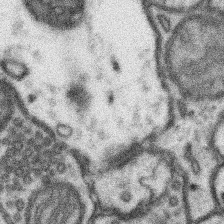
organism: Mouse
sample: Somatosensory cortex neuropil